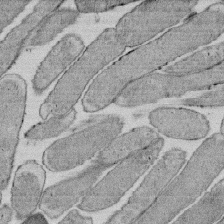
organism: E. coli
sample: Bacterial nucleoid